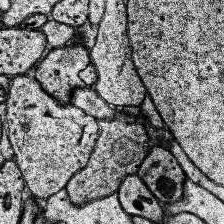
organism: Human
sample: Temporal Lobe